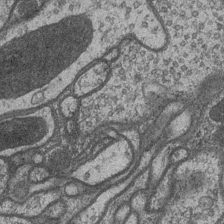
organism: Drosophila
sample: Optic medulla